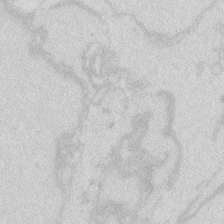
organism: Zebrafish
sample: Macrophage